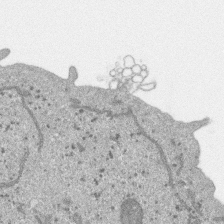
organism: Human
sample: Lung epithelial cells infected with SARS-CoV-2